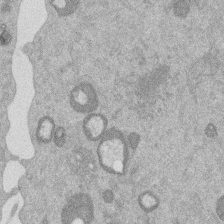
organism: Mouse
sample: Dividing mouse embryo 1 cell stage